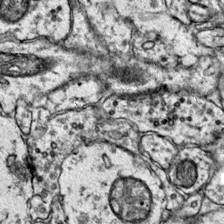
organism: Mouse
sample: Primary visual cortex